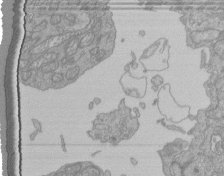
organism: Human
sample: Retinal organoid Rod and Cone cells